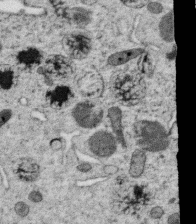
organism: C. elegans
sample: C. elegans oocyte; sperm cells